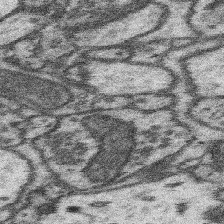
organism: Mouse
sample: Somatosensory cortex neuropil